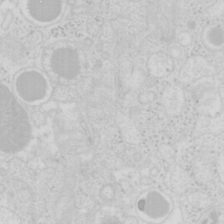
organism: Mouse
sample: Pancreas